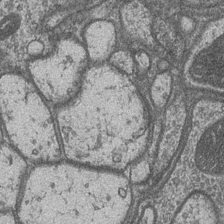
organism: Drosophila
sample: Optic medulla